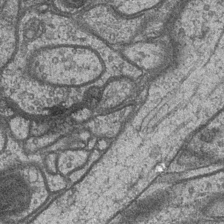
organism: Drosophila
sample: Optic medulla